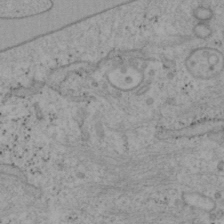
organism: Human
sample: HeLa cells